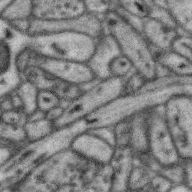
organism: Zebra finch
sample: Brain